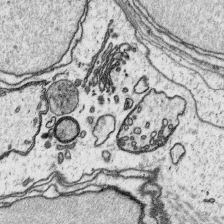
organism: Platynereis dumerilii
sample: Parapodia